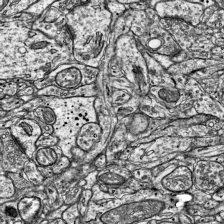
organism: Mouse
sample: Visual Cortex